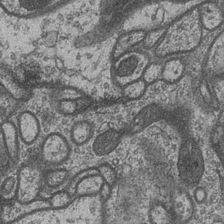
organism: Drosophila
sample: Optic medulla